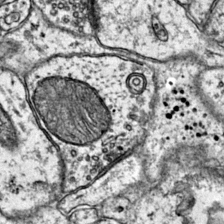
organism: Mouse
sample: Primary visual cortex